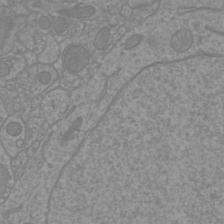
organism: Mouse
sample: Cortical neurons